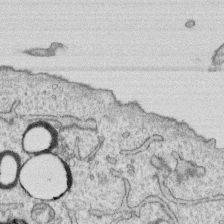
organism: Human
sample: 1205lu cells